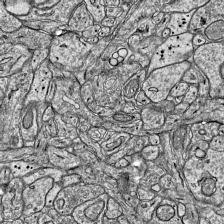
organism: Mouse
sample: Visual Cortex